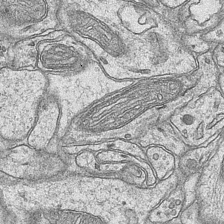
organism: Mouse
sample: CA1 Hippocampus